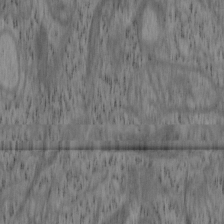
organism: Human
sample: HeLa cells